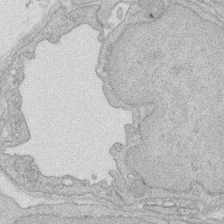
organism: Rat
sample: Salivary granule